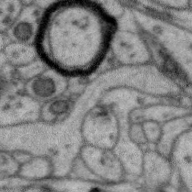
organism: Zebra finch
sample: Brain